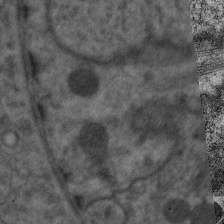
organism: C. elegans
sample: Pharynx